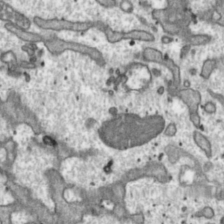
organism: Toxoplasma gondii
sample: Parasites in a vacuole inside a host cell